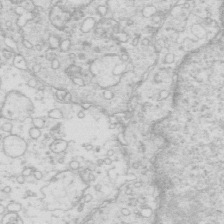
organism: Mouse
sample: Multiciliated cells